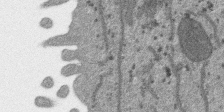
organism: Human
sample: Lung epithelial cells infected with SARS-CoV-2